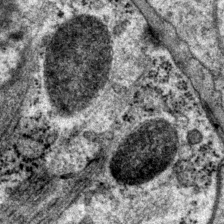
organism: P. pacificus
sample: Pharynx